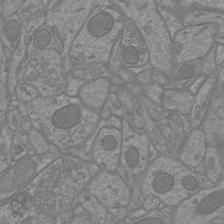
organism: Mouse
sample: Cortical neurons